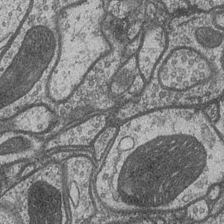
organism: Drosophila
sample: Optic medulla